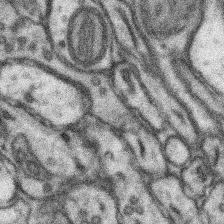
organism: Mouse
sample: Somatosensory cortex neuropil